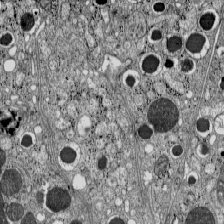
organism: C57BL Mouse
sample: Pancreatic islet